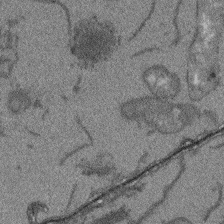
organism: Arabidopsis thaliana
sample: Root tip